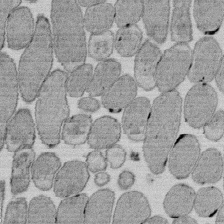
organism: E. coli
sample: Bacterial nucleoid